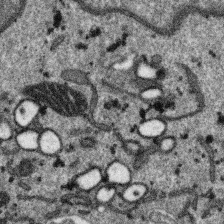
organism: Human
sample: Lung epithelial cells infected with SARS-CoV-2